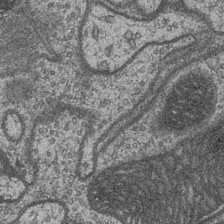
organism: Drosophila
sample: Optic medulla